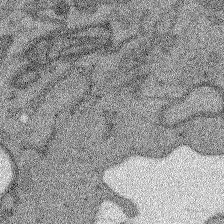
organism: Human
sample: HeLa cells